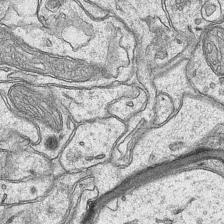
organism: Mouse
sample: CA1 Hippocampus